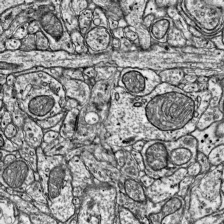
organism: Mouse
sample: Visual Cortex